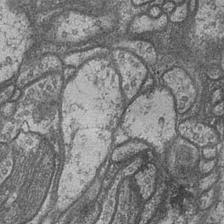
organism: Drosophila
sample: Optic medulla